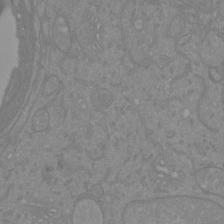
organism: Mouse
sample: Cortical neurons